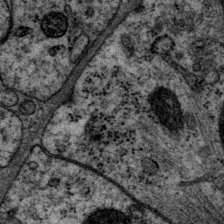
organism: P. pacificus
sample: Pharynx